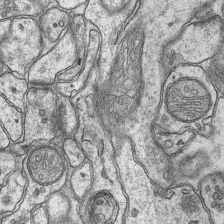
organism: Mouse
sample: CA1 Hippocampus